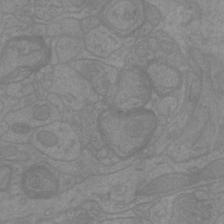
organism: Mouse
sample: Cortical neurons